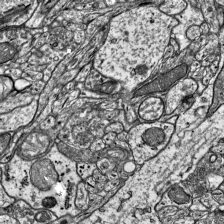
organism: Mouse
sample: Visual Cortex